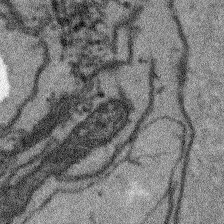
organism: Arabidopsis thaliana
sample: Root tip